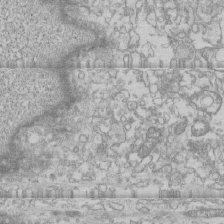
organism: Human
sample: CRL-1474